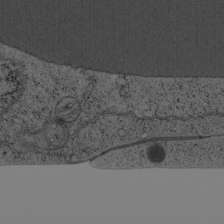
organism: African green monkey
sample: COS-7 cells